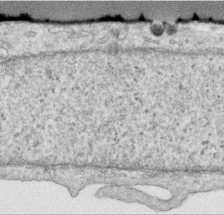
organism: Human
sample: Centriole in RPE cells